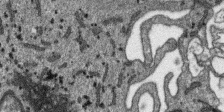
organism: Human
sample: Lung epithelial cells infected with SARS-CoV-2